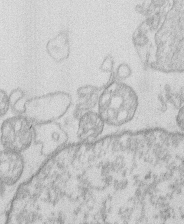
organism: Human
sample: Macrophage cells